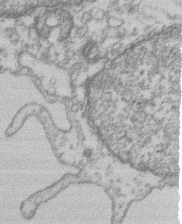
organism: Mouse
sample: T cell stromal cell synapse